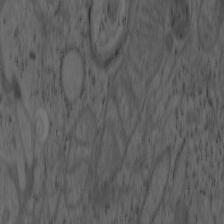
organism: Human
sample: HeLa cells